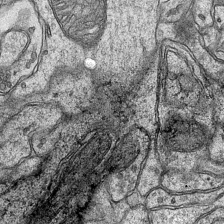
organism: Mouse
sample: CA1 Hippocampus